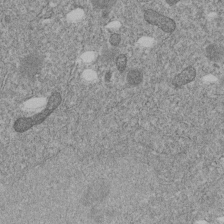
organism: C. elegans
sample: C. elegans embryo early stage